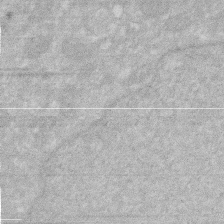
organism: Human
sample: HIV infected U937 cells